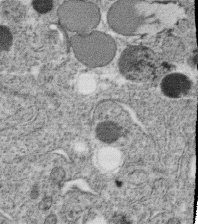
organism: C. elegans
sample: C. elegans oocyte; sperm cells